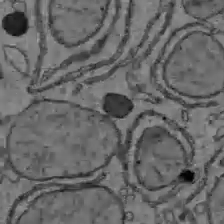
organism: C57BL Mouse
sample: Liver